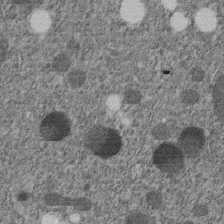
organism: C. elegans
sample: C. elegans embryo early stage